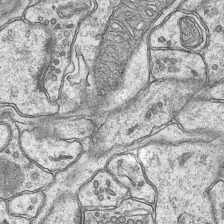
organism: Mouse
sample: CA1 Hippocampus